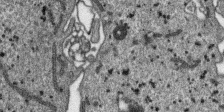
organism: Human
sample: Lung epithelial cells infected with SARS-CoV-2